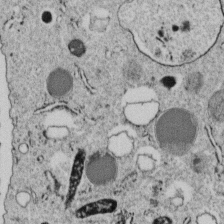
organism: C. elegans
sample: C. elegans embryo early stage